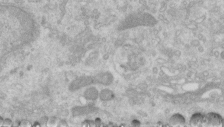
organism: Human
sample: Centriole in RPE cells